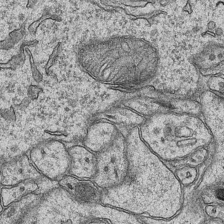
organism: Mouse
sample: CA1 Hippocampus